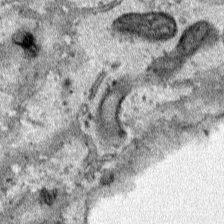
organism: Human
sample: Mitochondria in HCT116 cells